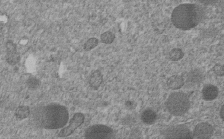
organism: C. elegans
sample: C. elegans embryo early stage